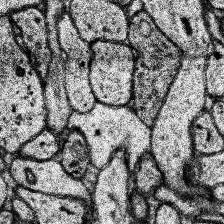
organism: Human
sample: Temporal Lobe